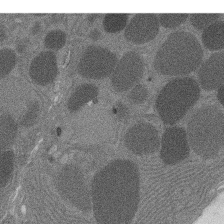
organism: Rat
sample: Salivary granule